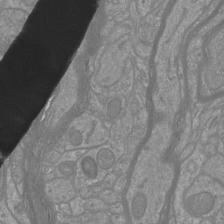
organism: Mouse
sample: Cortical neurons